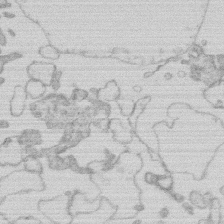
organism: Human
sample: Macrophage cells